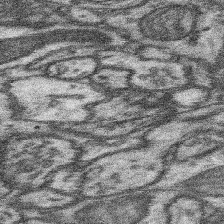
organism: Mouse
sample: Somatosensory cortex neuropil